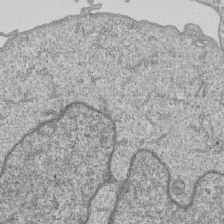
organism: Human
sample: MDA-MB-231 cells